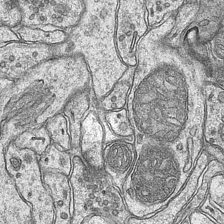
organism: Mouse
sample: CA1 Hippocampus